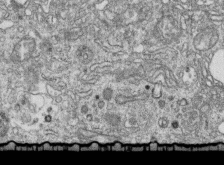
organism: Human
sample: HeLa cell HIV synapse